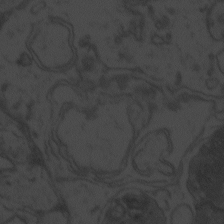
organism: Zebrafish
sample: Macrophage infected with Toxoplasma gondii